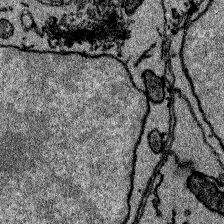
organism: Zebrafish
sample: Larval olfactory bulb